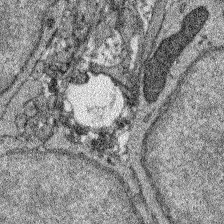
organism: Zebrafish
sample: Larval olfactory bulb